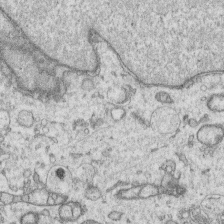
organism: Human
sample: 1205lu cells